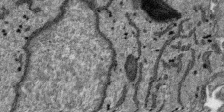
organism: Human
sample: Lung epithelial cells, uninfected (mock) control